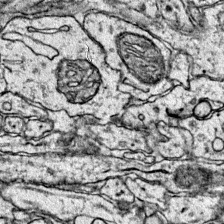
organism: Mouse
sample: Primary visual cortex